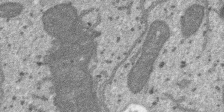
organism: Human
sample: Lung epithelial cells infected with SARS-CoV-2